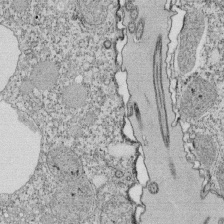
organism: Tetrahymena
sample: Cilia in tetrahymena